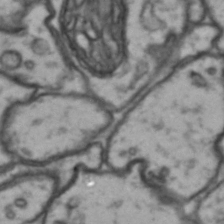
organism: Drosophila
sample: Brain